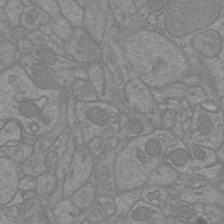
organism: Mouse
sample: Cortical neurons